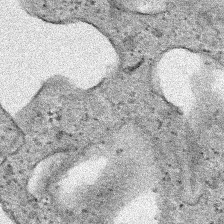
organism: Human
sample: Mitochondria in HCT116 cells